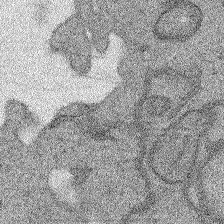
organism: Human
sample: HeLa cells